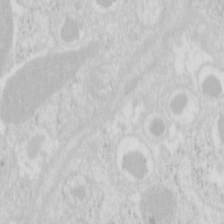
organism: Mouse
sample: Pancreas